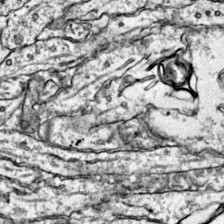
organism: Mouse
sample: Primary visual cortex